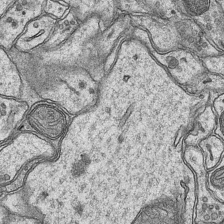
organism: Mouse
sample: CA1 Hippocampus